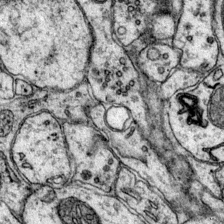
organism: Mouse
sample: Primary visual cortex